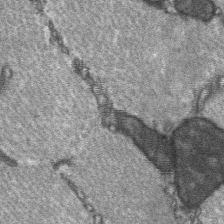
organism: C57BL Mouse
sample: Soleus